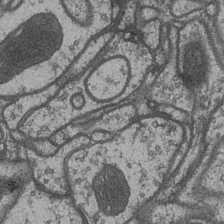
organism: Drosophila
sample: Optic medulla